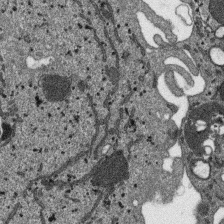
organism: Human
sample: Lung epithelial cells infected with SARS-CoV-2